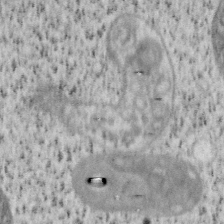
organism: Mouse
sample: OT-I killer T cells with ID8 ovarian cancer cells